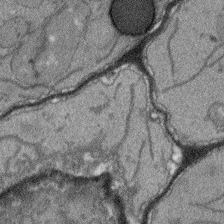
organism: Arabidopsis thaliana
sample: Root tip